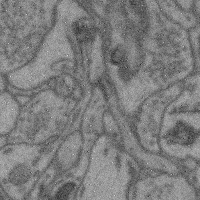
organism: Mouse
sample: Cerebral cortex